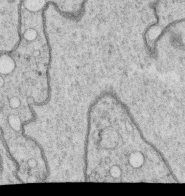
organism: C. elegans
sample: C. elegans oocyte; sperm cells